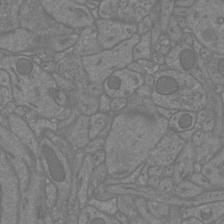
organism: Mouse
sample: Cortical neurons